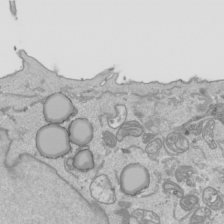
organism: Human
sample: Mitochondria in HCT116 cells